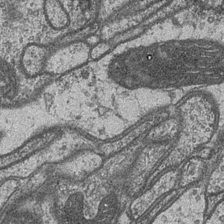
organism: Drosophila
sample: Optic medulla